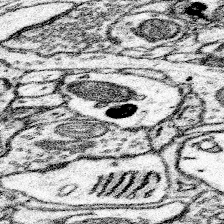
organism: Mouse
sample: Somatosensory cortex neuropil